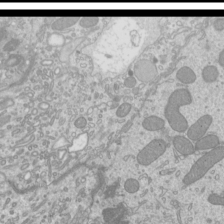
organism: Mouse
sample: Cilia; mouse epididymis